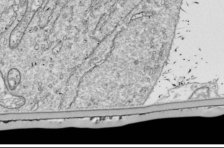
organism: Drosophila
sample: Cell division; meiosis; drosophila spermatocytes